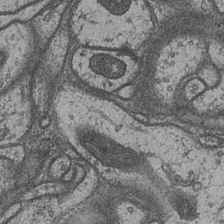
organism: Drosophila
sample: Optic medulla